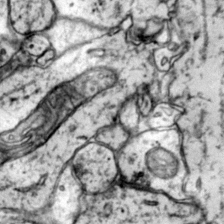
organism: Mouse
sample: Primary visual cortex